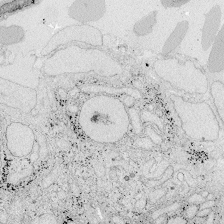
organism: Zebrafish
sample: Whole-Brain